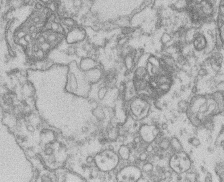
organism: Mouse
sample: T cell stromal cell synapse